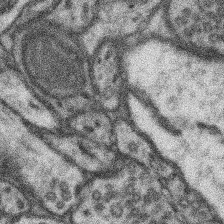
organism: Mouse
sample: Somatosensory cortex neuropil